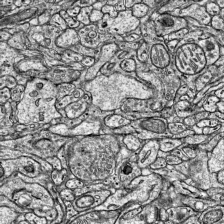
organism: Mouse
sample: Visual Cortex